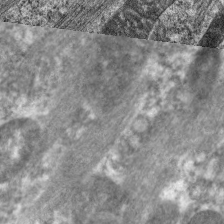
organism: C. elegans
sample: Pharynx